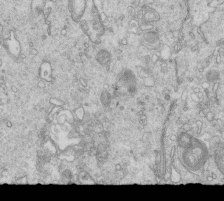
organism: Mouse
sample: Multiciliated cells